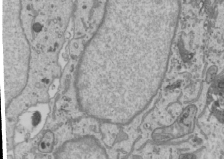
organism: Human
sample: Mitochondria in U2OS cells